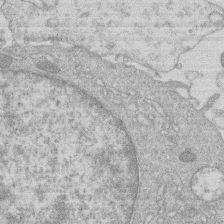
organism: Human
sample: Macrophage cells